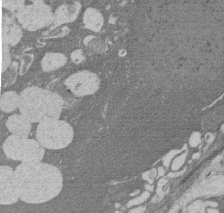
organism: Rat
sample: Salivary granule